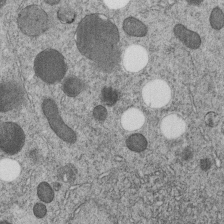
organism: C. elegans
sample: C. elegans embryo early stage